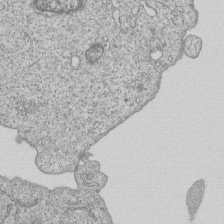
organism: Human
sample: MDA-MB-231 cells